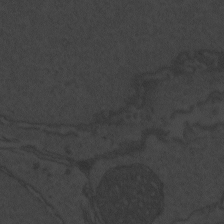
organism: Zebrafish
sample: Macrophage infected with Toxoplasma gondii